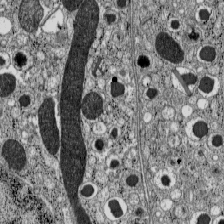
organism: C57BL Mouse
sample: Pancreatic islet